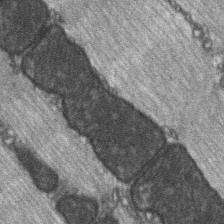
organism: C57BL Mouse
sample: Soleus